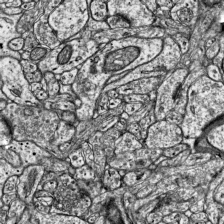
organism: Mouse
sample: Visual Cortex